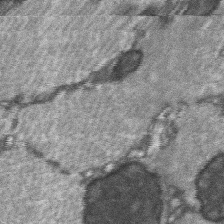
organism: C57BL Mouse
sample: Soleus